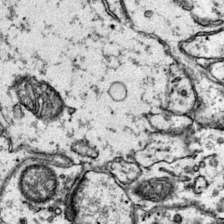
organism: Mouse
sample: Primary visual cortex